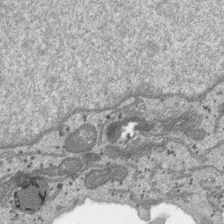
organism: Human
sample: Lung epithelial cells infected with SARS-CoV-2